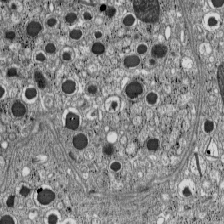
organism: C57BL Mouse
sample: Pancreatic islet